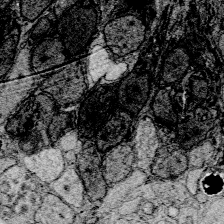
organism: Zebrafish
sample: Whole-Brain